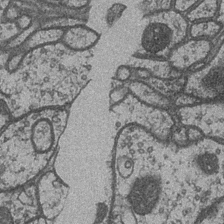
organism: Drosophila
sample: Optic medulla